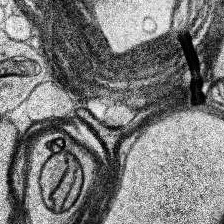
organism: Human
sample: Temporal Lobe